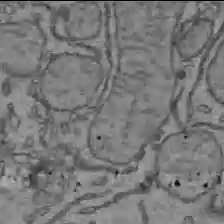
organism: C57BL Mouse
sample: Liver